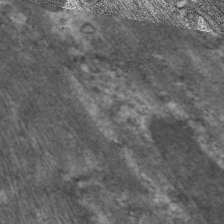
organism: C. elegans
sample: Pharynx